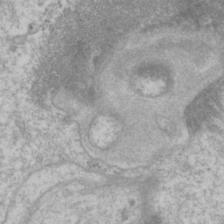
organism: P. pacificus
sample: Pharynx